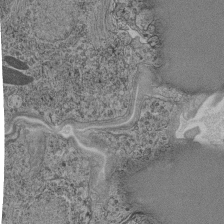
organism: C. elegans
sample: C. elegans pharynx